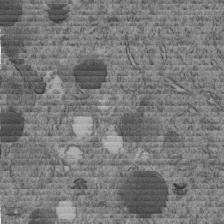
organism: C. elegans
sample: C. elegans embryo early stage